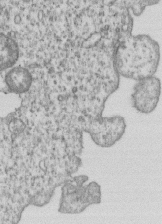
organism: Human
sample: MDA-MB-231 cells